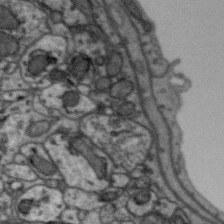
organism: Zebra finch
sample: Brain